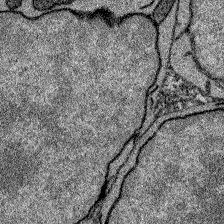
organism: Zebrafish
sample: Larval olfactory bulb